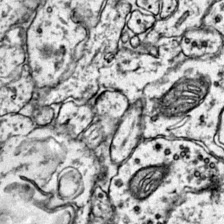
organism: Mouse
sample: Primary visual cortex